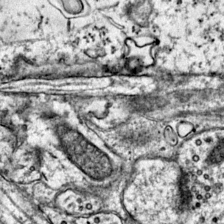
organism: Mouse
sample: Primary visual cortex